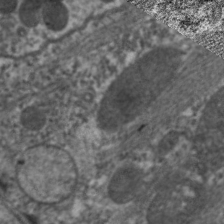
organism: C. elegans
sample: Pharynx